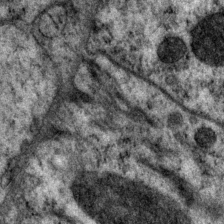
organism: P. pacificus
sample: Pharynx